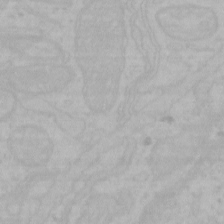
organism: Mouse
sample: Choroid plexus